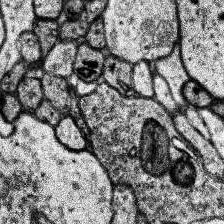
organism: Human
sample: Temporal Lobe